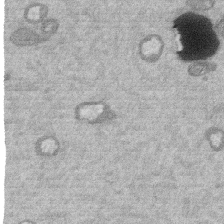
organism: Mouse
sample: Dividing mouse embryo 1 cell stage